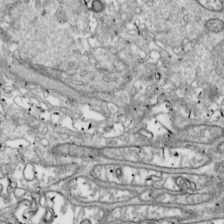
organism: Drosophila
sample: Cell division; meiosis; drosophila spermatocytes